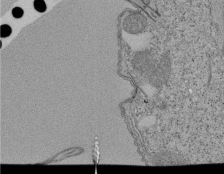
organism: Tetrahymena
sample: Cilia in tetrahymena